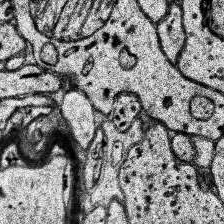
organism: Human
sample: Temporal Lobe